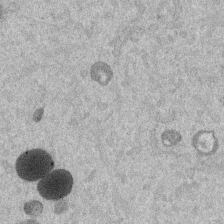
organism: Mouse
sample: Dividing mouse embryo 1 cell stage